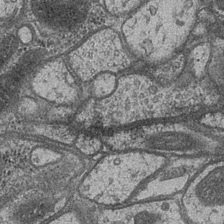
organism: Drosophila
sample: Optic medulla